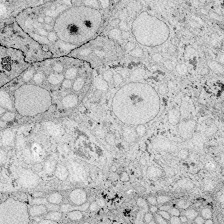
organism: Zebrafish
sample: Whole-Brain